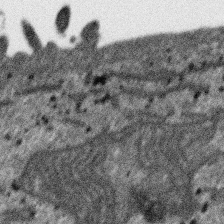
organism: Human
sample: Lung epithelial cells infected with SARS-CoV-2